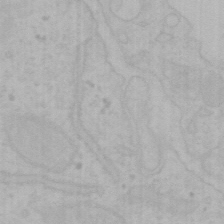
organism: Mouse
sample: Choroid plexus